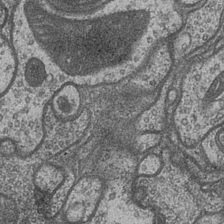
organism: Drosophila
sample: Optic medulla